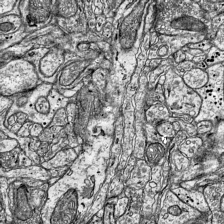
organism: Mouse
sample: Visual Cortex